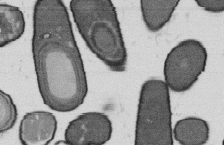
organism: B. subtilis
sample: Bacterial spore